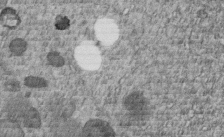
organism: C. elegans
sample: C. elegans embryo early stage